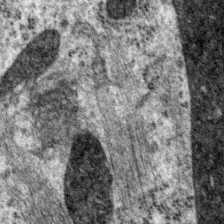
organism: P. pacificus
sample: Pharynx